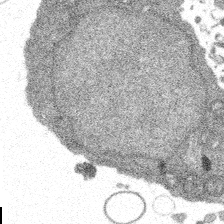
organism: Spongilla lacustris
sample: Multiple